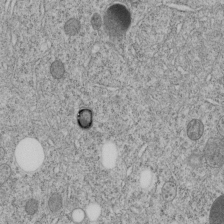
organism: C. elegans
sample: C. elegans embryo early stage